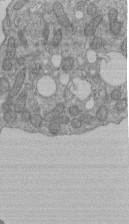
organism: Human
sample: Retinal organoid Rod and Cone cells